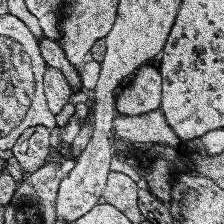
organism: Human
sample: Temporal Lobe